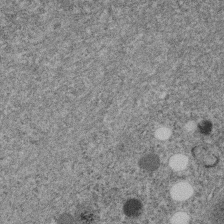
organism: C. elegans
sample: C. elegans embryo early stage